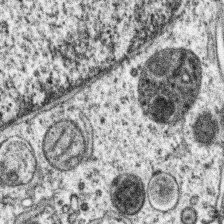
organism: Human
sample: HeLa cells